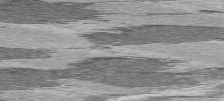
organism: C57BL Mouse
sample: Heart